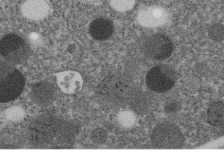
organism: C. elegans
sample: C. elegans embryo early stage